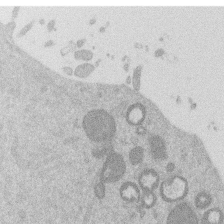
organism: Mouse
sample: Dividing mouse embryo 1 cell stage